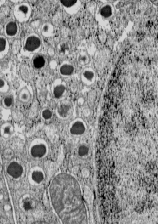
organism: C57BL Mouse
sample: Pancreatic islet